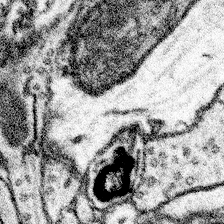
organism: Mouse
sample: Somatosensory cortex neuropil